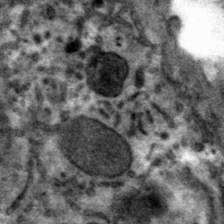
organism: Mouse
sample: Mouse hepatocytes